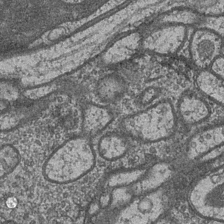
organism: Drosophila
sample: Optic medulla